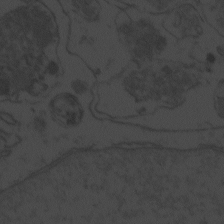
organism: Zebrafish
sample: Macrophage infected with Toxoplasma gondii